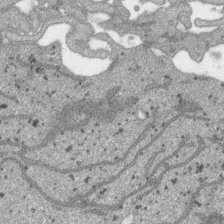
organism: Human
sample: Lung epithelial cells infected with SARS-CoV-2